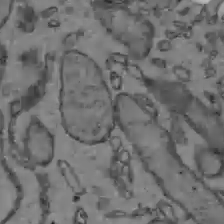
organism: C57BL Mouse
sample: Liver